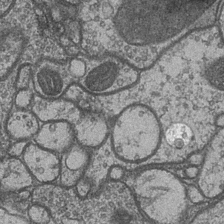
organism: Drosophila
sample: Optic medulla